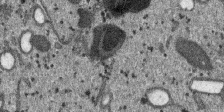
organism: Human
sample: Lung epithelial cells infected with SARS-CoV-2